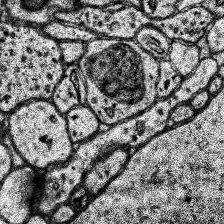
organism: Human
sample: Temporal Lobe